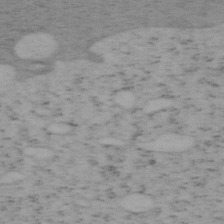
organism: Mouse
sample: OT-I killer T cells with ID8 ovarian cancer cells